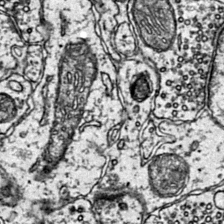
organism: Mouse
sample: Primary visual cortex